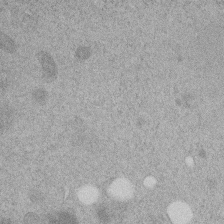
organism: C. elegans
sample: C. elegans embryo early stage